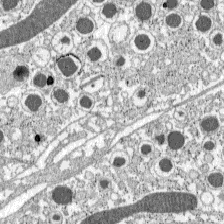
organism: C57BL Mouse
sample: Pancreatic islet